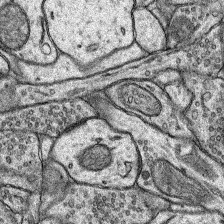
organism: Rat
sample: Hippocampus